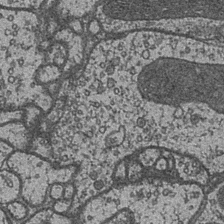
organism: Drosophila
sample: Optic medulla